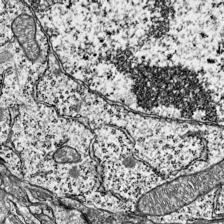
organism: Mouse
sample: Visual Cortex